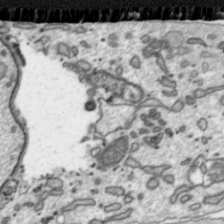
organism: Toxoplasma gondii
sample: Parasites in a vacuole inside a host cell